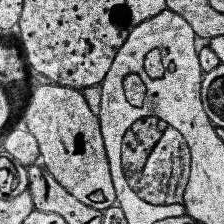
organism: Human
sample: Temporal Lobe